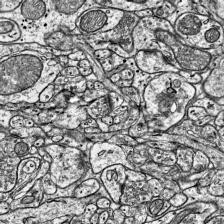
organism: Mouse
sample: Visual Cortex